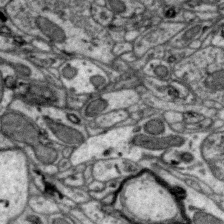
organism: Zebra finch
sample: Brain